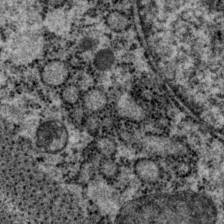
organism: P. pacificus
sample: Pharynx